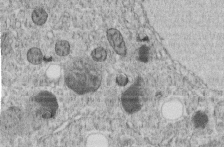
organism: C. elegans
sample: C. elegans embryo early stage